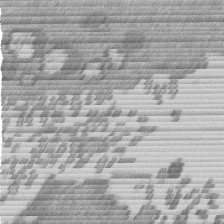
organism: Mouse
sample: Dividing mouse embryo 1 cell stage